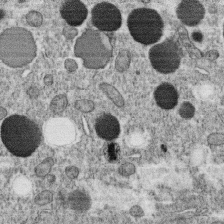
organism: C. elegans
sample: C. elegans oocyte; sperm cells